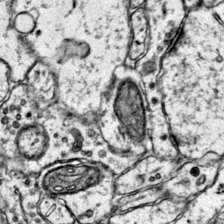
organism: Mouse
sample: Primary visual cortex